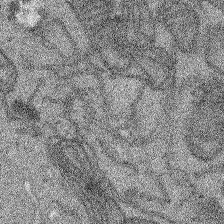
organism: Human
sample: HeLa cells